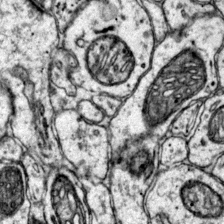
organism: Mouse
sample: Primary visual cortex